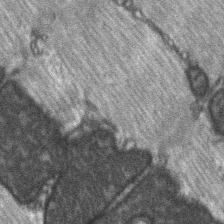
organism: C57BL Mouse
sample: Soleus